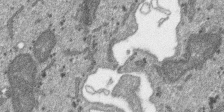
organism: Human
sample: Lung epithelial cells infected with SARS-CoV-2